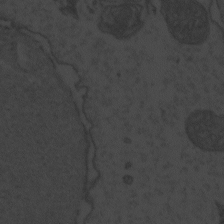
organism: Zebrafish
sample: Macrophage infected with Toxoplasma gondii